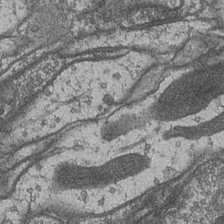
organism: Drosophila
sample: Optic medulla